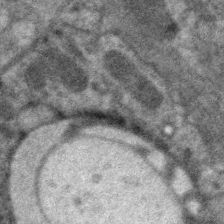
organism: C. elegans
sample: Pharynx